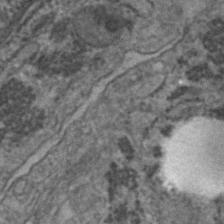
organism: Human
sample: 1205lu cells